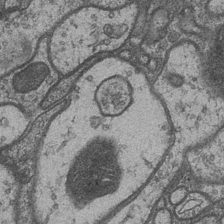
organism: Drosophila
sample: Optic medulla